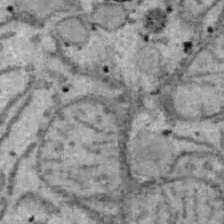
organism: Mouse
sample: Liver from an obese (ob/ob) mouse